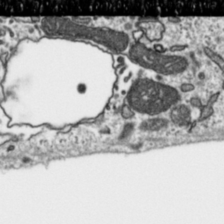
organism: Toxoplasma gondii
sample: Parasites in a vacuole inside a host cell